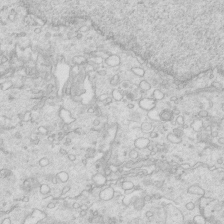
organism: Mouse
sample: Multiciliated cells